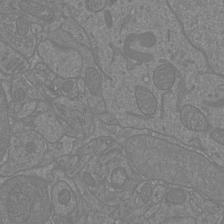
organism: Mouse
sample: Cortical neurons